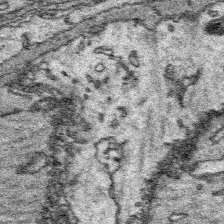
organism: Platynereis dumerilii